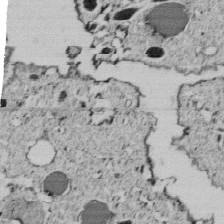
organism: C. elegans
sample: C. elegans embryo early stage